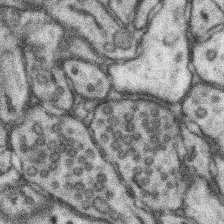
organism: Mouse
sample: Somatosensory cortex neuropil